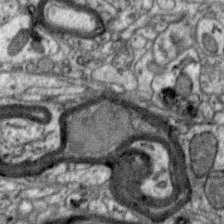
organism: Zebra finch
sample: Brain